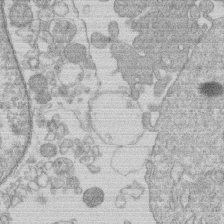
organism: Human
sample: Macrophage cells